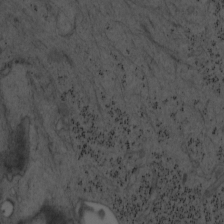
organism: Mouse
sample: OT-I killer T cells with ID8 ovarian cancer cells